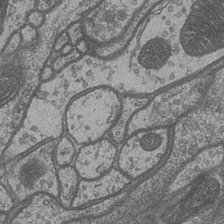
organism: Drosophila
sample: Optic medulla